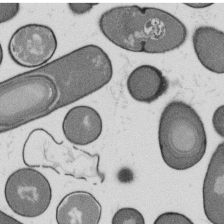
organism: B. subtilis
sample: Bacterial spore